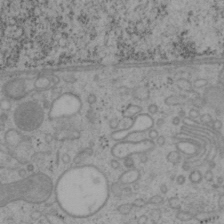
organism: Human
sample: HeLa cells